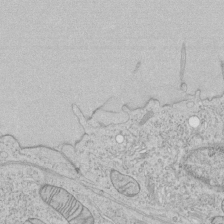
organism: Human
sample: Mitochondria in HCT116 cells